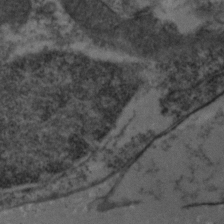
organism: Zebrafish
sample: Zebrafish embryo